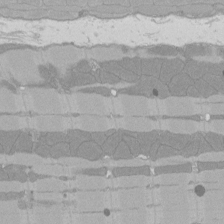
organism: Rat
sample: Left ventricle